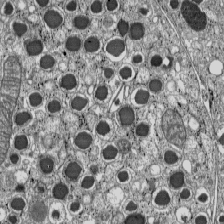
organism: C57BL Mouse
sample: Pancreatic islet